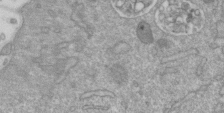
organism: Mouse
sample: ED-1 cell nuclei; centrioles